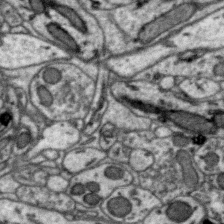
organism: Zebra finch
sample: Brain